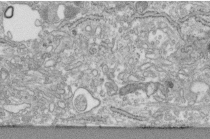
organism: Human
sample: Centriole in fibroblast cells